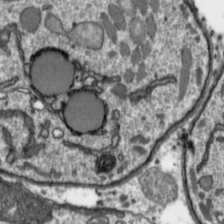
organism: Toxoplasma gondii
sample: Parasites in a vacuole inside a host cell